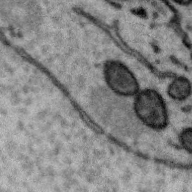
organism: Zebra finch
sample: Brain